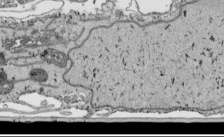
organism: Human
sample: Mitochondria in HCT116 cells